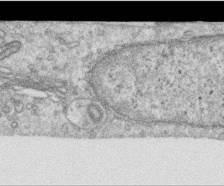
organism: Human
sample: Centriole in RPE cells